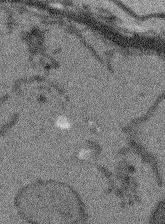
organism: Arabidopsis thaliana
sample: Root tip